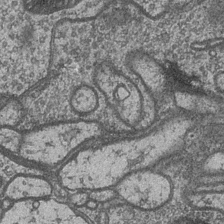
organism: Drosophila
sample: Optic medulla